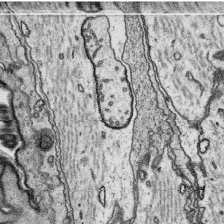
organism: Platynereis dumerilii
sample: Parapodia